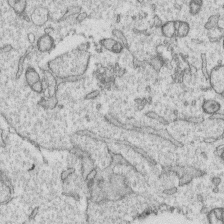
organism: Human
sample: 1205lu cells